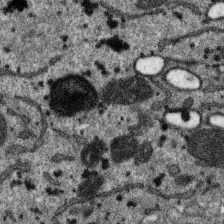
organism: Human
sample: Lung epithelial cells infected with SARS-CoV-2